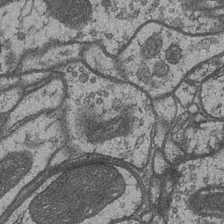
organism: Drosophila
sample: Optic medulla